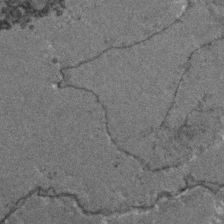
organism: Zebrafish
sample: Zebrafish embryo